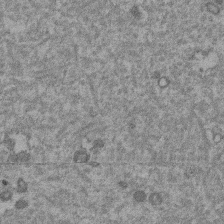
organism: Mouse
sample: Dividing mouse embryo 1 cell stage